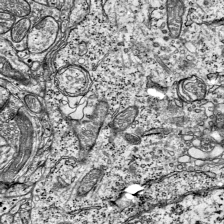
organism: Mouse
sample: Visual Cortex